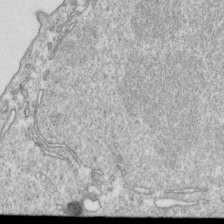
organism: Mouse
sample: Activated OT-1 CD8+ T cells